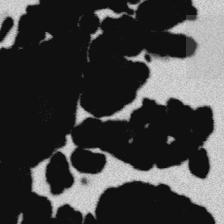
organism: Platynereis dumerilii